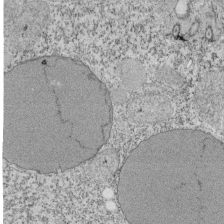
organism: Tetrahymena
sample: Cilia in tetrahymena